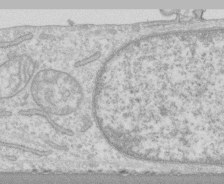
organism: Human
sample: CRL-1474